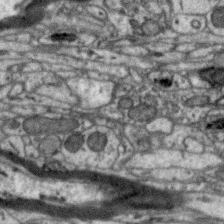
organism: Zebra finch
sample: Brain